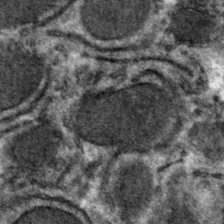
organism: Mouse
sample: Mouse hepatocytes